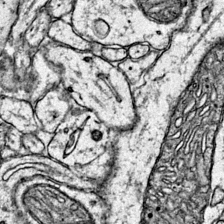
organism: Mouse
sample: Primary visual cortex